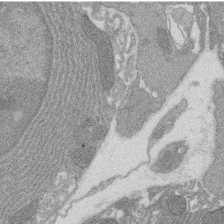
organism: Rat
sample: Salivary granule